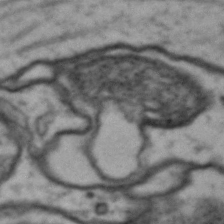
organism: Drosophila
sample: Brain